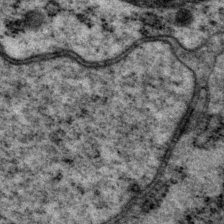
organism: P. pacificus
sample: Pharynx